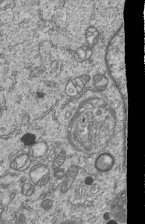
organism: Human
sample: MDA-MB-231 cells